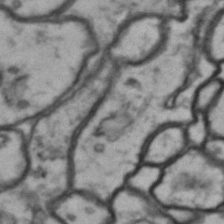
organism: Drosophila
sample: Brain